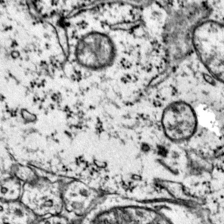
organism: Mouse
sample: Primary visual cortex